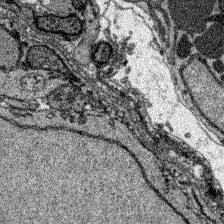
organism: Zebrafish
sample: Larval olfactory bulb